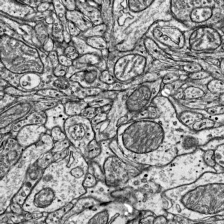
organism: Mouse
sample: Visual Cortex